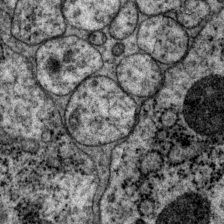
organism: P. pacificus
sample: Pharynx